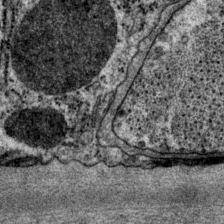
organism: P. pacificus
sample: Pharynx